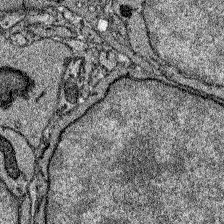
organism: Zebrafish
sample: Larval olfactory bulb